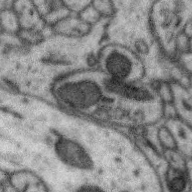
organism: Zebra finch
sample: Brain